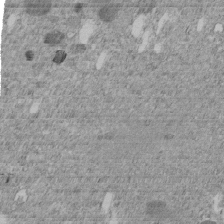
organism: C. elegans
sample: C. elegans embryo early stage